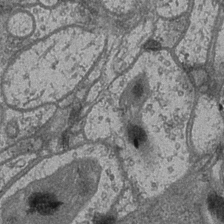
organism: Drosophila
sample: Optic medulla